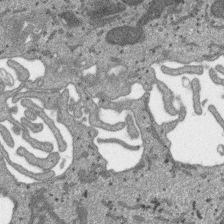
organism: Human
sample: Lung epithelial cells infected with SARS-CoV-2